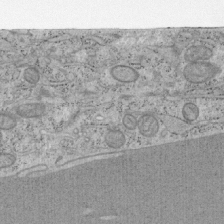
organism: Human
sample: HeLa cells